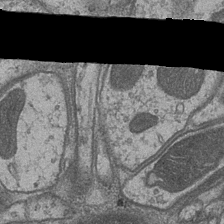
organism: Drosophila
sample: Optic medulla